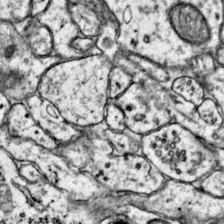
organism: Mouse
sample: Primary visual cortex